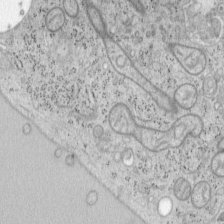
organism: Mouse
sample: OT-I killer T cells with ID8 ovarian cancer cells